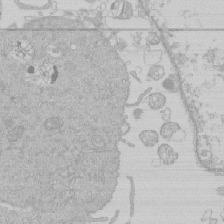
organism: Human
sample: Macrophage cells